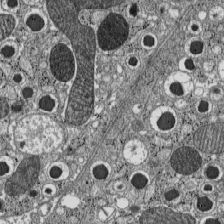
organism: C57BL Mouse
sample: Pancreatic islet